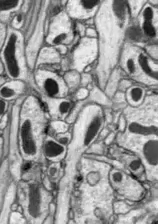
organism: Drosophila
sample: Optic lobe